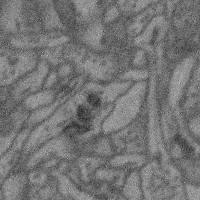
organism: Mouse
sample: Cerebral cortex